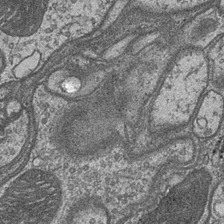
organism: Drosophila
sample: Optic medulla